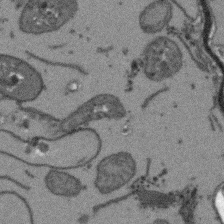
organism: Arabidopsis thaliana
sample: Root tip